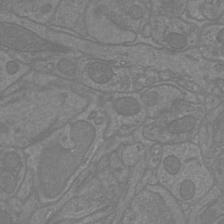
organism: Mouse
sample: Cortical neurons